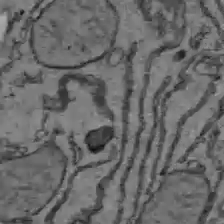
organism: C57BL Mouse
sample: Liver